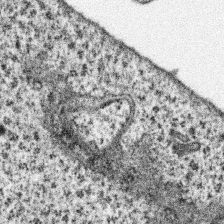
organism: Human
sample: HeLa cells